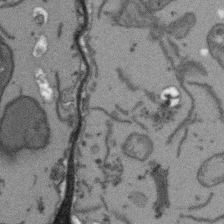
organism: Arabidopsis thaliana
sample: Root tip